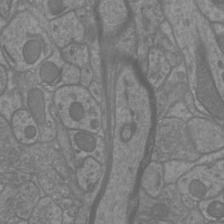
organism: Mouse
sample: Cortical neurons